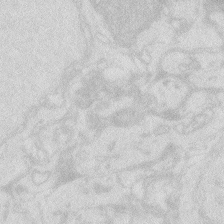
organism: Zebrafish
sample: Macrophage